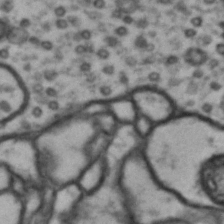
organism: Drosophila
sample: Brain